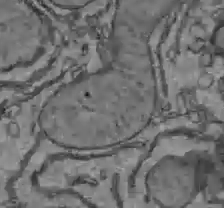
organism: C57BL Mouse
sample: Liver